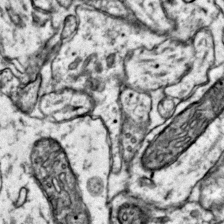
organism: Mouse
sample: Primary visual cortex